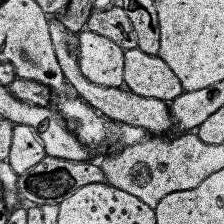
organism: Human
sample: Temporal Lobe